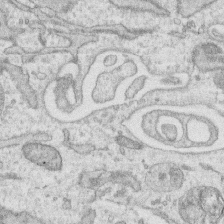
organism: Human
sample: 1205lu cells